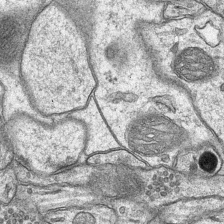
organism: Mouse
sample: CA1 Hippocampus